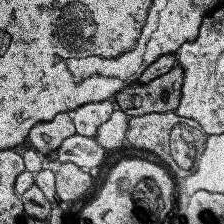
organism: Human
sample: Temporal Lobe